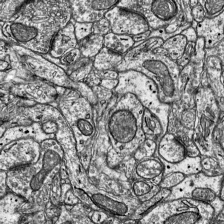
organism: Mouse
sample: Visual Cortex